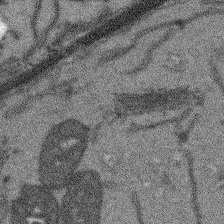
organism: Arabidopsis thaliana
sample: Root tip